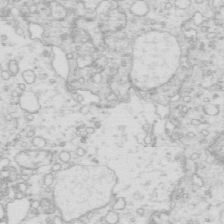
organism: Mouse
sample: Multiciliated cells